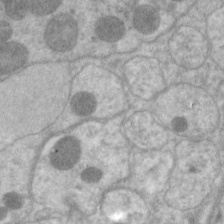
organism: C. elegans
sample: Pharynx